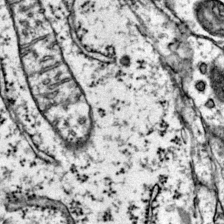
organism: Mouse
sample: Primary visual cortex